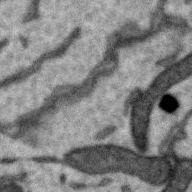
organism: Zebra finch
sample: Brain